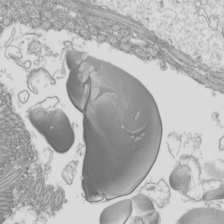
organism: Mouse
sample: Cilia; mouse epididymis